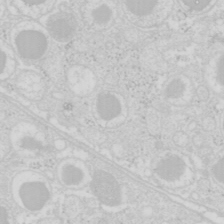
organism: Mouse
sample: Pancreas